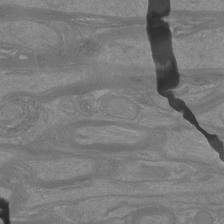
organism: Mouse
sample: Cortical neurons